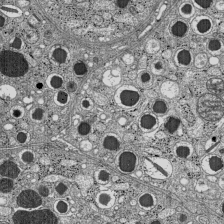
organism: C57BL Mouse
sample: Pancreatic islet